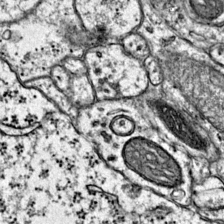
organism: Mouse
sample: Primary visual cortex